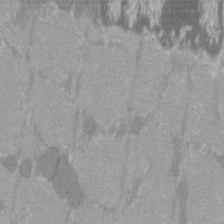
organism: C57BL Mouse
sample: Tibialis anterior muscle cell